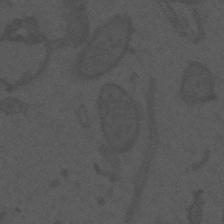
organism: Mouse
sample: Suprachiasmatic nucleus